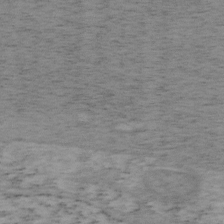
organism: Mouse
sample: OT-I killer T cells with ID8 ovarian cancer cells